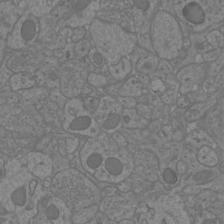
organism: Mouse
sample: Cortical neurons